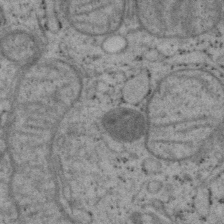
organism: Human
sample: HeLa cells